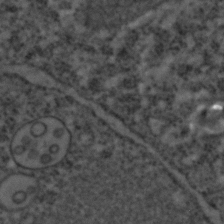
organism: C. elegans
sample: C. elegans embryo